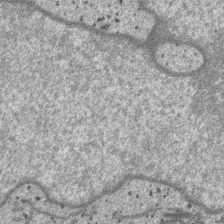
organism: Human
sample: Lung epithelial cells infected with SARS-CoV-2